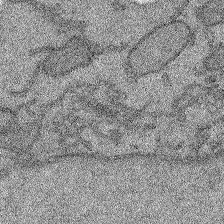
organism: Human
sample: HeLa cells